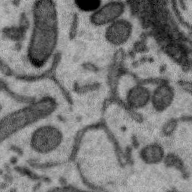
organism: Zebra finch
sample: Brain